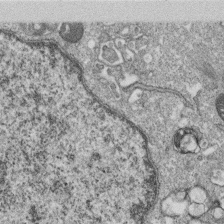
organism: African green monkey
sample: Vero E6 cells infected with SARS-CoV-2